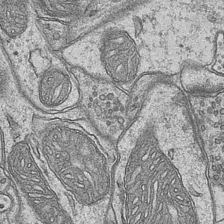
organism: Mouse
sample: CA1 Hippocampus